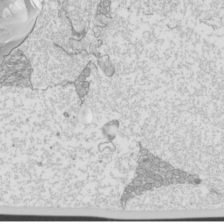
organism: Mouse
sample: Cilia; mouse epididymis